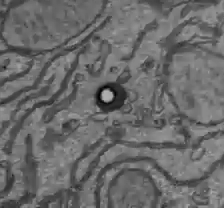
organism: C57BL Mouse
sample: Liver